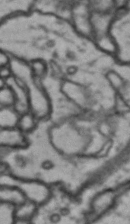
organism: Drosophila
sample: Brain